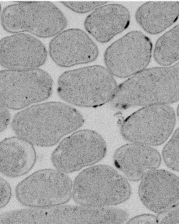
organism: E. coli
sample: Bacterial nucleoid